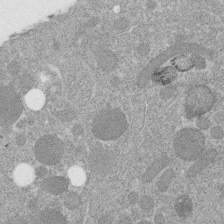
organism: C. elegans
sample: C. elegans embryo early stage